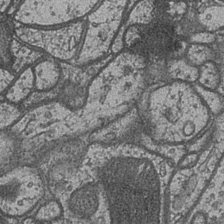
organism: Drosophila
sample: Optic medulla